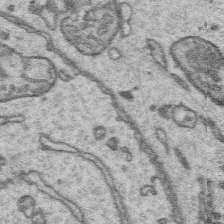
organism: Platynereis dumerilii